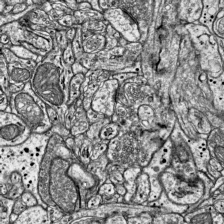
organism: Mouse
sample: Visual Cortex